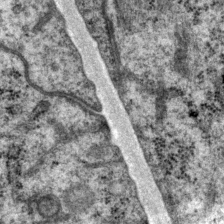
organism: P. pacificus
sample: Pharynx